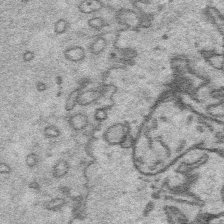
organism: Platynereis dumerilii